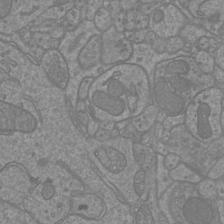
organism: Mouse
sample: Cortical neurons